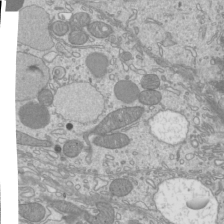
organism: Mouse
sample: Cilia; mouse epididymis